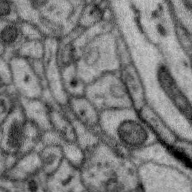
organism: Zebra finch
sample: Brain